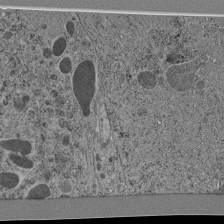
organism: C. elegans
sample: C. elegans pharynx